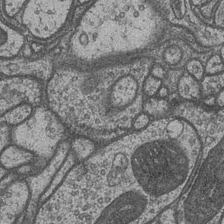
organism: Drosophila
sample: Optic medulla